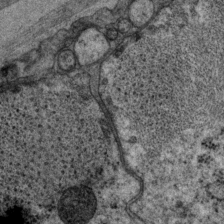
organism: P. pacificus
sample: Pharynx